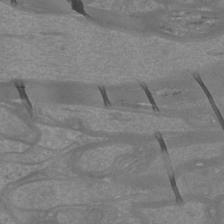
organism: Mouse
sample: Cortical neurons